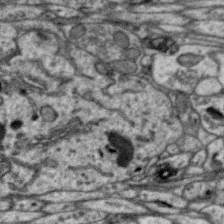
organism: Zebra finch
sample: Brain